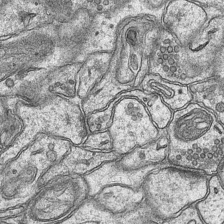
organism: Mouse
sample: CA1 Hippocampus